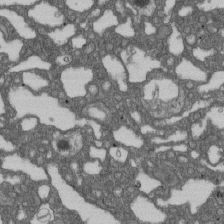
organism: Drosophila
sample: Nephrocyte